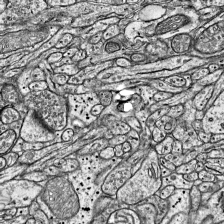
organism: Mouse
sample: Visual Cortex